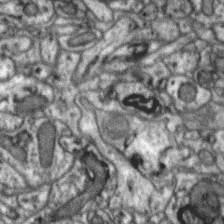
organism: Zebra finch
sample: Brain